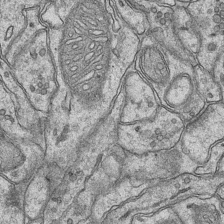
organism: Mouse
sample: CA1 Hippocampus